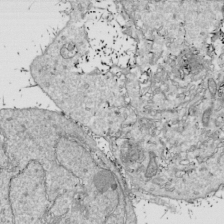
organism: Drosophila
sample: Cell division; meiosis; drosophila spermatocytes